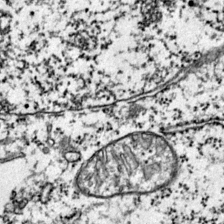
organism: Mouse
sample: Primary visual cortex